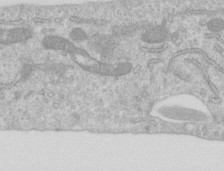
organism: Human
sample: Centriole in RPE cells